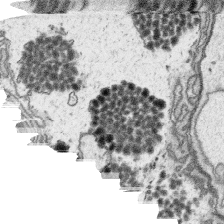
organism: Platynereis dumerilii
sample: Parapodia